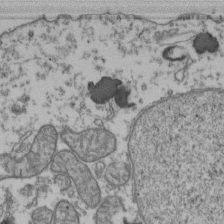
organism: Human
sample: Activated Jurkat CD4+ T cells